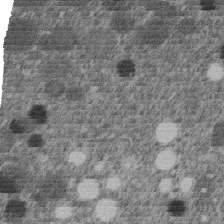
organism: C. elegans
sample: C. elegans embryo early stage